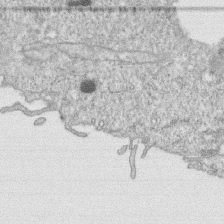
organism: Human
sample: HeLa cell HIV synapse